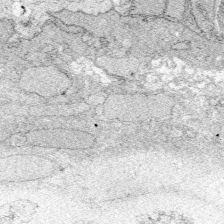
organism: Zebrafish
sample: Whole-Brain